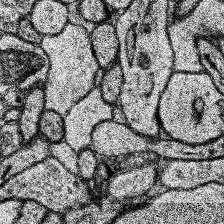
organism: Human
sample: Temporal Lobe